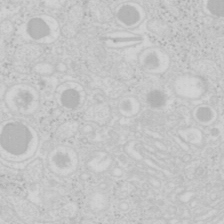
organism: Mouse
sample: Pancreas